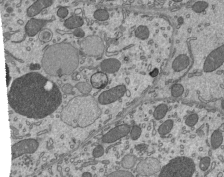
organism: Mouse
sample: Mouse epididymis efferent ductule cilia